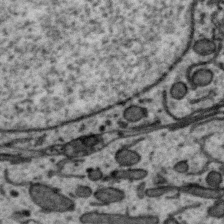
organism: Zebra finch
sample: Brain